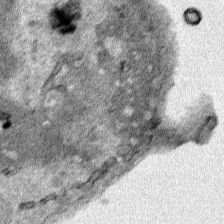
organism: Human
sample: Mitochondria in HCT116 cells